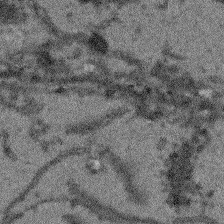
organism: Arabidopsis thaliana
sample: Root tip